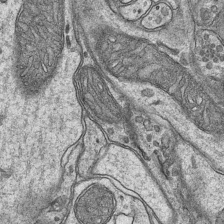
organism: Mouse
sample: CA1 Hippocampus